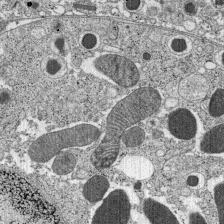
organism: C57BL Mouse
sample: Pancreatic islet